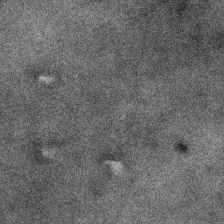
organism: Human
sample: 1205lu cells